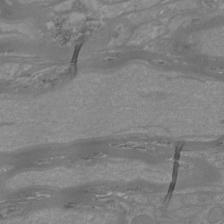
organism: Mouse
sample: Cortical neurons